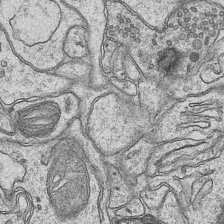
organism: Mouse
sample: CA1 Hippocampus